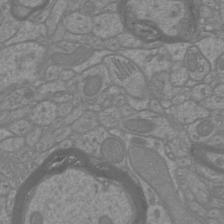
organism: Mouse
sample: Cortical neurons